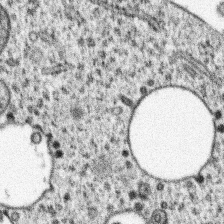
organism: Human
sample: HeLa cells